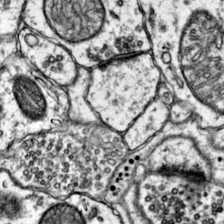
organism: Mouse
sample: Primary visual cortex